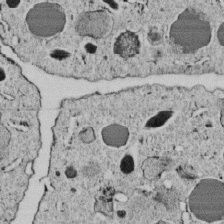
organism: C. elegans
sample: C. elegans embryo early stage